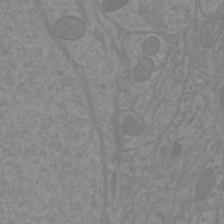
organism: Mouse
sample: Cortical neurons